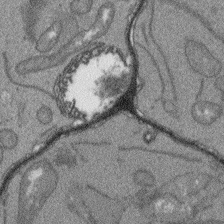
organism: Arabidopsis thaliana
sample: Root tip